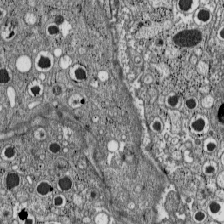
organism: C57BL Mouse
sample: Pancreatic islet